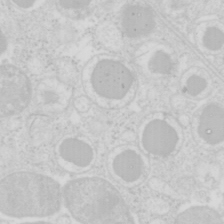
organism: Mouse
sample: Pancreas